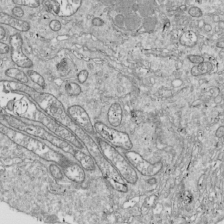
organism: Drosophila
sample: Cell division; meiosis; drosophila spermatocytes